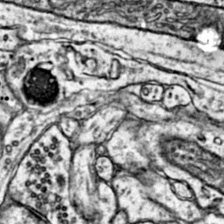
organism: Mouse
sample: Primary visual cortex